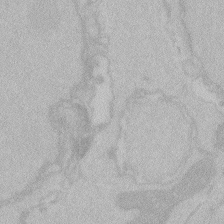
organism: Zebrafish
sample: Macrophage infected with Toxoplasma gondii